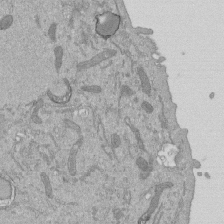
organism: Mouse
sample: ED-1 cell nuclei; centrioles